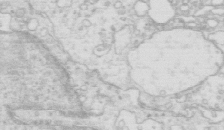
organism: Mouse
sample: Multiciliated cells